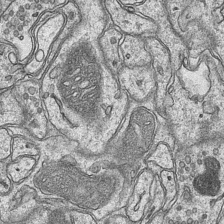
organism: Mouse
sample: CA1 Hippocampus